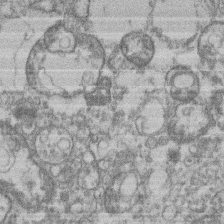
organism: Mouse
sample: T cell stromal cell synapse